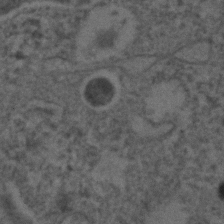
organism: C. elegans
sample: C. elegans embryo